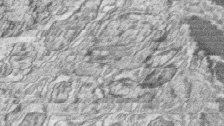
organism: Zebrafish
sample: synaptic ribbons in rod cells and cone cells